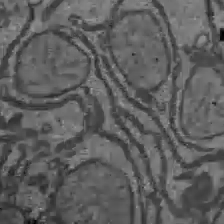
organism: C57BL Mouse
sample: Liver